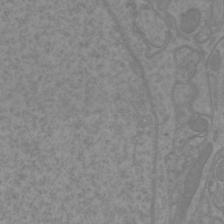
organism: Mouse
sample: Cortical neurons